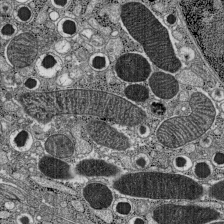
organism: C57BL Mouse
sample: Pancreatic islet